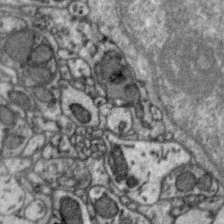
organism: Zebra finch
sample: Brain